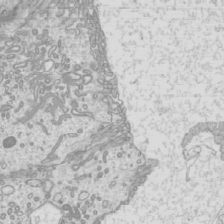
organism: Mouse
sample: Cilia; mouse epididymis